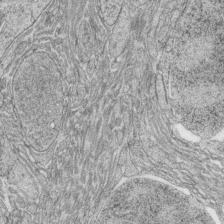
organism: Zebrafish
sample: synaptic ribbons in rod cells and cone cells